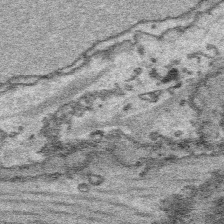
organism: Platynereis dumerilii